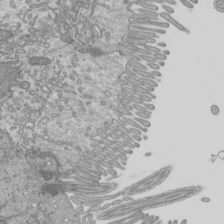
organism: Mouse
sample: Cilia; mouse epididymis